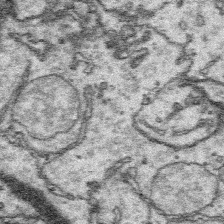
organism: Platynereis dumerilii